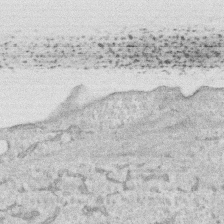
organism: Human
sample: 1205lu cells